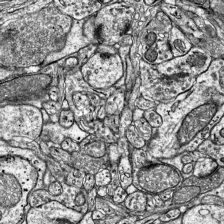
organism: Mouse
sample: Visual Cortex